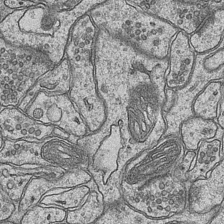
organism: Mouse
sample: CA1 Hippocampus